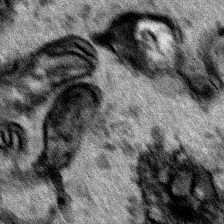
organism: Human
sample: Mitochondria in HCT116 cells